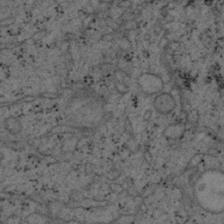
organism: Human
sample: HeLa cells